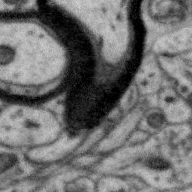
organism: Zebra finch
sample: Brain